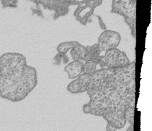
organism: Human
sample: MDA-MB-231 cells